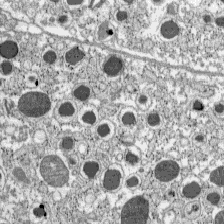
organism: C57BL Mouse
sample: Pancreatic islet